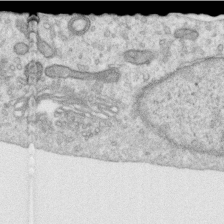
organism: Human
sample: Centriole in RPE cells